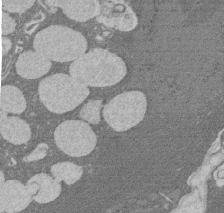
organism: Rat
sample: Salivary granule